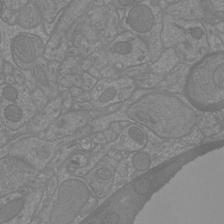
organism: Mouse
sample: Cortical neurons